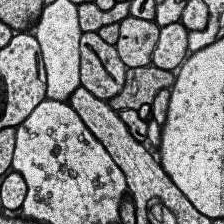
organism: Human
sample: Temporal Lobe